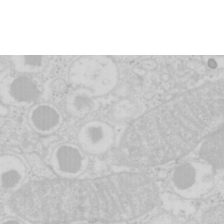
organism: Mouse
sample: Pancreas